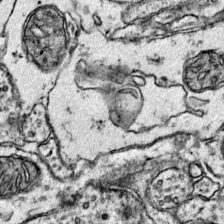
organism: Mouse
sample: Primary visual cortex